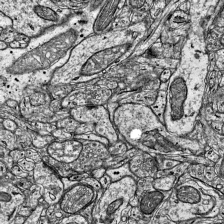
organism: Mouse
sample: Visual Cortex